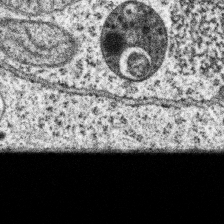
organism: Human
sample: HeLa cells